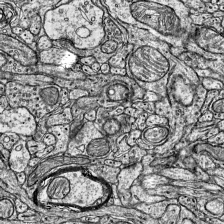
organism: Mouse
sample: Visual Cortex